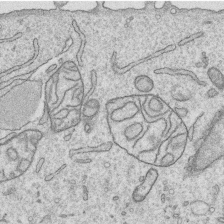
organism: Human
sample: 1205lu cells